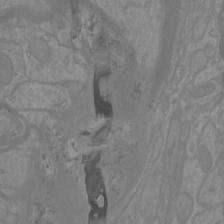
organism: Mouse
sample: Cortical neurons